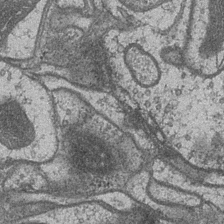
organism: Drosophila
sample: Optic medulla